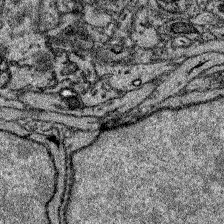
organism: Zebrafish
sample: Larval olfactory bulb